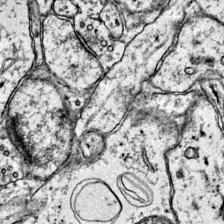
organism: Mouse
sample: Primary visual cortex